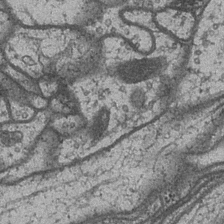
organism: Drosophila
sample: Optic medulla